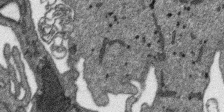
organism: Human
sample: Lung epithelial cells infected with SARS-CoV-2